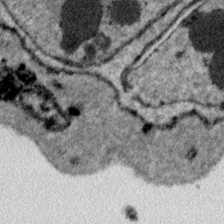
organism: Plasmodium falciparum